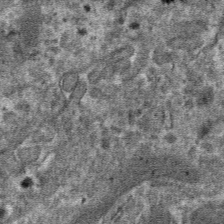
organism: Mouse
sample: Mouse hepatocytes